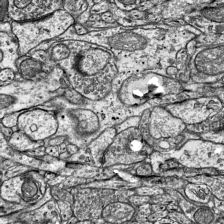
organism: Mouse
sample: Visual Cortex